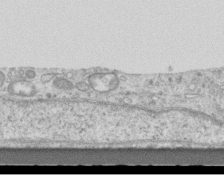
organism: Mouse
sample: Centriole in ependymal cells